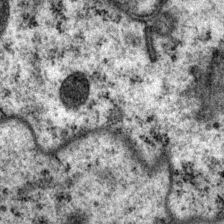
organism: P. pacificus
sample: Pharynx